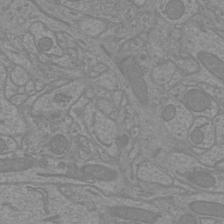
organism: Mouse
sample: Cortical neurons